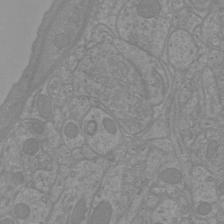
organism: Mouse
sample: Cortical neurons